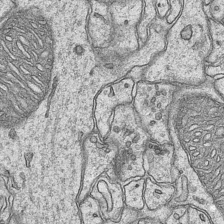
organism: Mouse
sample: CA1 Hippocampus